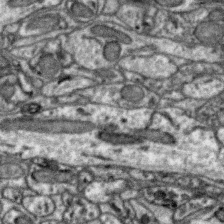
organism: Zebra finch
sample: Brain